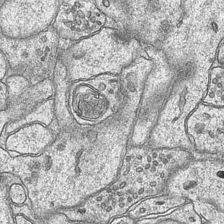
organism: Mouse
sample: CA1 Hippocampus